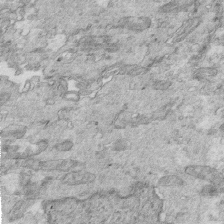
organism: Mouse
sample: Multiciliated cells